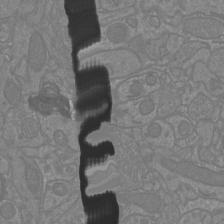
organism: Mouse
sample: Cortical neurons